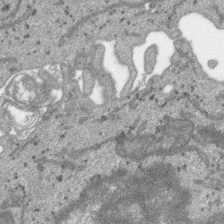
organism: Human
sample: Lung epithelial cells infected with SARS-CoV-2